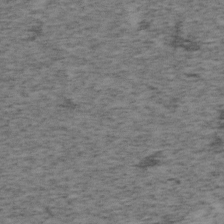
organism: Mouse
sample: OT-I killer T cells with ID8 ovarian cancer cells